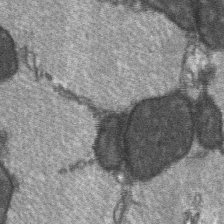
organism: C57BL Mouse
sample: Soleus